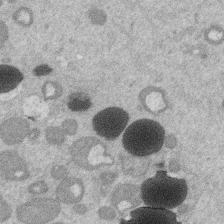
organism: Mouse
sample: Dividing mouse embryo 1 cell stage